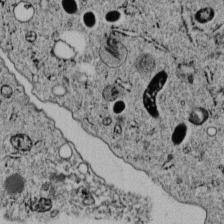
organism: C. elegans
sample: C. elegans embryo early stage